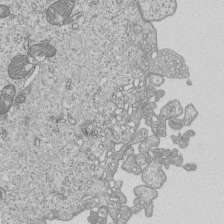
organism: Human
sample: MDA-MB-231 cells